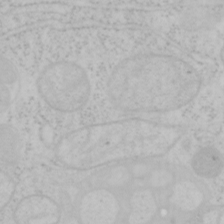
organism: Mouse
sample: OT-I killer T cells with ID8 ovarian cancer cells